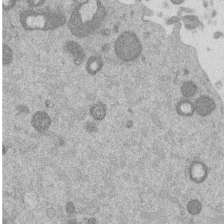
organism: Mouse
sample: Dividing mouse embryo 1 cell stage